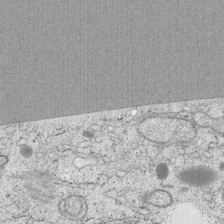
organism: African green monkey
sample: COS-7 cells